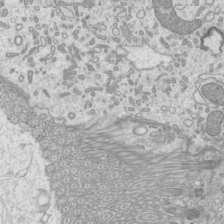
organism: Mouse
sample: Cilia; mouse epididymis